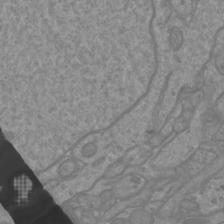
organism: Mouse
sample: Cortical neurons